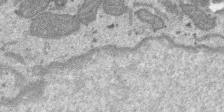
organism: Human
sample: Lung epithelial cells infected with SARS-CoV-2